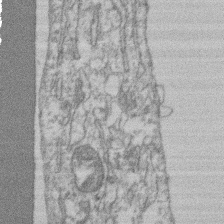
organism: Mouse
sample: T cell stromal cell synapse